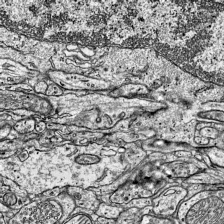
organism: Mouse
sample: Visual Cortex